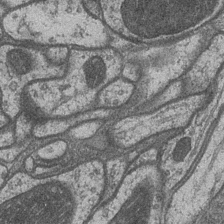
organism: Drosophila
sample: Optic medulla